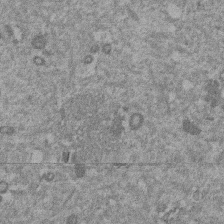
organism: Mouse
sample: Dividing mouse embryo 1 cell stage